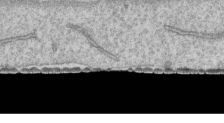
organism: Human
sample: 1205lu cells